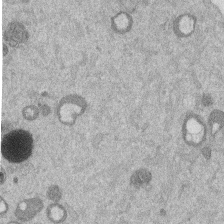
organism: Mouse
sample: Dividing mouse embryo 1 cell stage